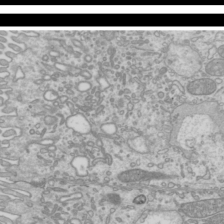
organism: Mouse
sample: Cilia; mouse epididymis